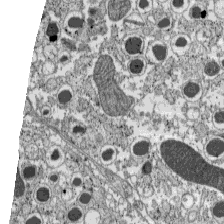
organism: C57BL Mouse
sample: Pancreatic islet